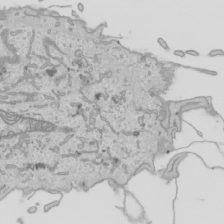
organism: Human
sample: Mitochondria in HCT116 cells